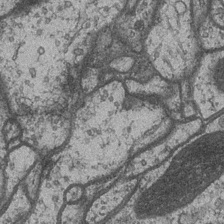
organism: Drosophila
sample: Optic medulla